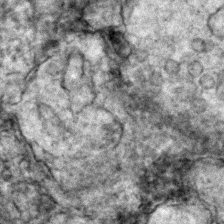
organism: Zebrafish